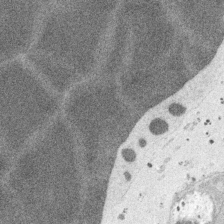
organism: Embia sp.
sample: Silk gland